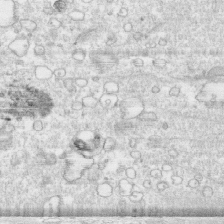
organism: Human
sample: CRL-1474